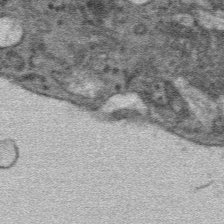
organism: Mouse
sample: Mouse hepatocytes